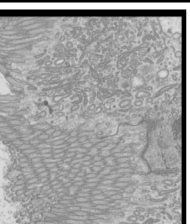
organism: Mouse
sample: Cilia; mouse epididymis